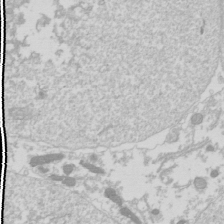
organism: Drosophila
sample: Cell division; meiosis; drosophila spermatocytes